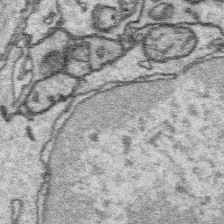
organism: Platynereis dumerilii